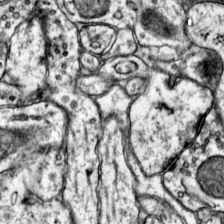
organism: Mouse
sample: Primary visual cortex